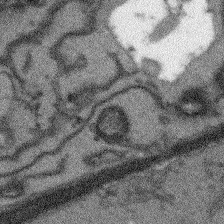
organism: Arabidopsis thaliana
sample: Root tip